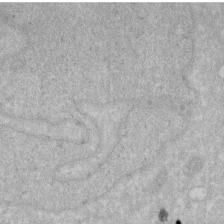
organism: Human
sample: HIV infected U937 cells